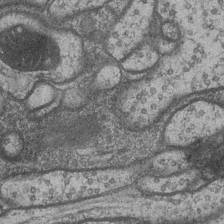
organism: Drosophila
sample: Optic medulla